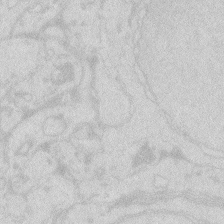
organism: Zebrafish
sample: Macrophage